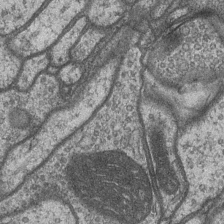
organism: Drosophila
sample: Optic medulla